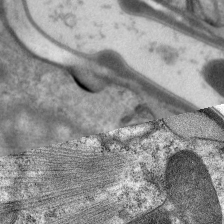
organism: C. elegans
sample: Pharynx